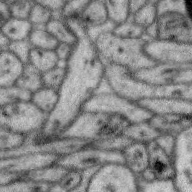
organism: Zebra finch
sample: Brain